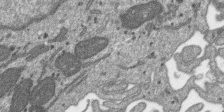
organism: Human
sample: Lung epithelial cells infected with SARS-CoV-2